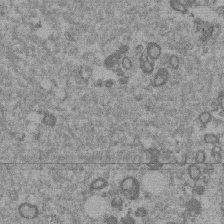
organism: Mouse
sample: Dividing mouse embryo 1 cell stage